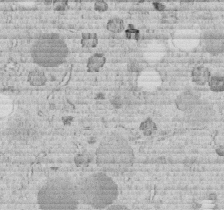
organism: C. elegans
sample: C. elegans embryo early stage